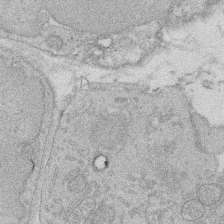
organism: Rat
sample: Salivary granule